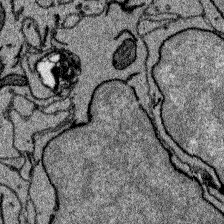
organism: Zebrafish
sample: Larval olfactory bulb